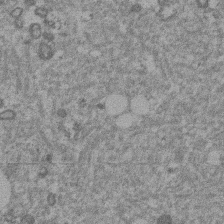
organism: Mouse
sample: Dividing mouse embryo 1 cell stage